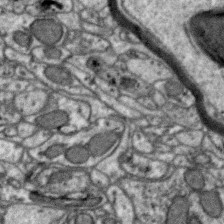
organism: Zebra finch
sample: Brain